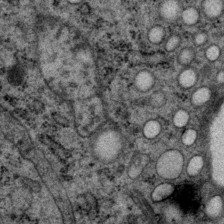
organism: P. pacificus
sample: Pharynx